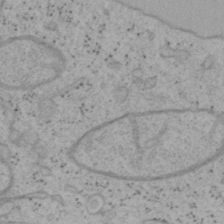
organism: Human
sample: HeLa cells